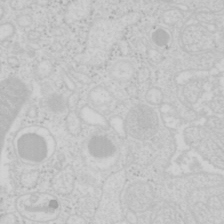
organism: Mouse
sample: Pancreas